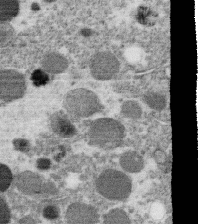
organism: C. elegans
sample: C. elegans oocyte; sperm cells